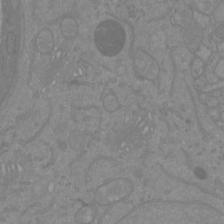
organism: Mouse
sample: Cortical neurons